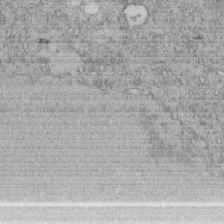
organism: C. elegans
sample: C. elegans embryo early stage